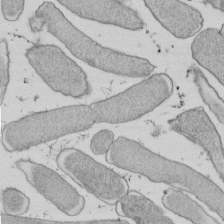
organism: E. coli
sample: Bacterial nucleoid